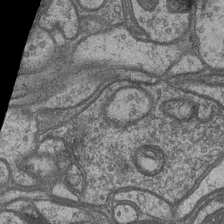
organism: Drosophila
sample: Optic medulla